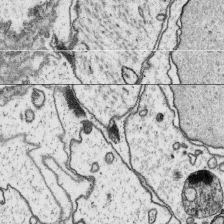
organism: Platynereis dumerilii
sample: Parapodia